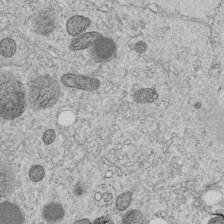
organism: C. elegans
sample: C. elegans embryo early stage